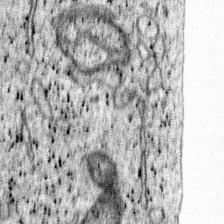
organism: Human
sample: HeLa cells